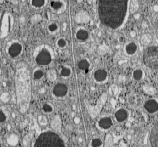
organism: C57BL Mouse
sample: Pancreatic islet